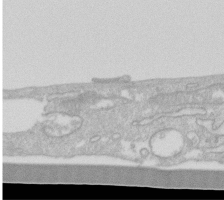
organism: Human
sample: Fibroblast cells